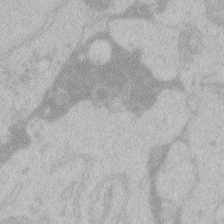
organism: Zebrafish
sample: Macrophage infected with Toxoplasma gondii